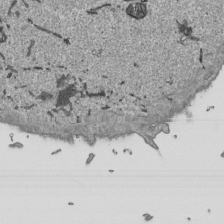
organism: Human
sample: Mitochondria in HCT116 cells